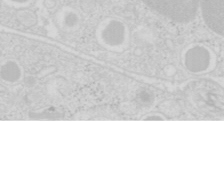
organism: Mouse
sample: Pancreas